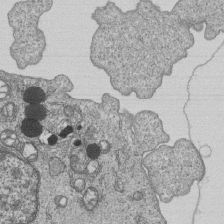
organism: Human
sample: MDA-MB-231 cells